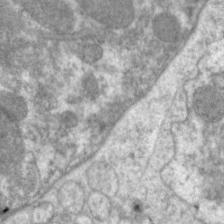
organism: C. elegans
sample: Pharynx